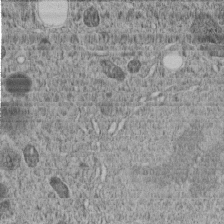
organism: C. elegans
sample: C. elegans embryo early stage